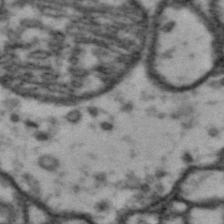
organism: Drosophila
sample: Brain